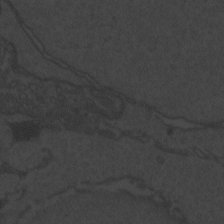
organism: Zebrafish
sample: Macrophage infected with Toxoplasma gondii